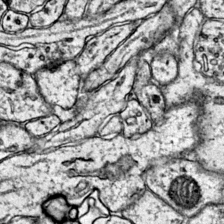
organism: Mouse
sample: Primary visual cortex